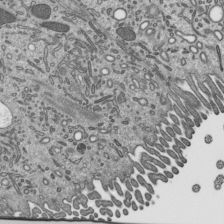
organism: Mouse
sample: Mouse epididymis efferent ductule cilia